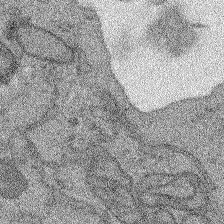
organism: Human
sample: HeLa cells